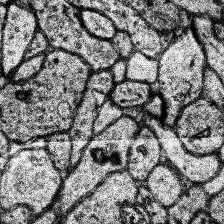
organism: Human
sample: Temporal Lobe